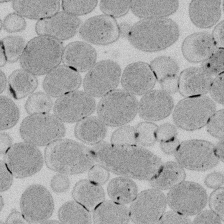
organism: E. coli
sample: Bacterial nucleoid